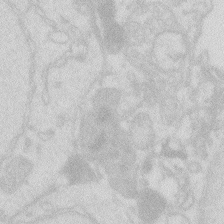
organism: Zebrafish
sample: Macrophage